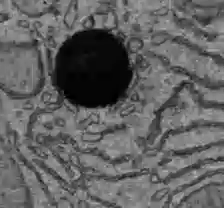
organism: C57BL Mouse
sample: Liver